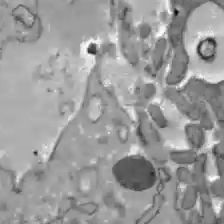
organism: C57BL Mouse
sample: Liver